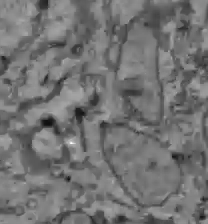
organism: C57BL Mouse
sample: Liver